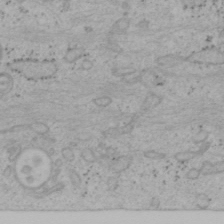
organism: Human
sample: HeLa cells